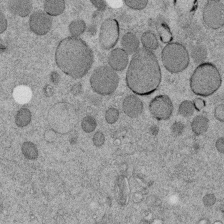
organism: C. elegans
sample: C. elegans embryo early stage